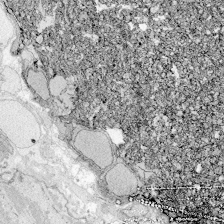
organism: Zebrafish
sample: Whole-Brain